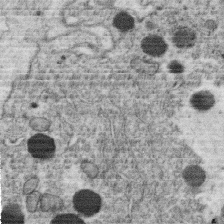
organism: C. elegans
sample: C. elegans oocyte; sperm cells